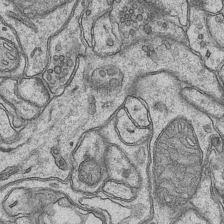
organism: Mouse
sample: CA1 Hippocampus